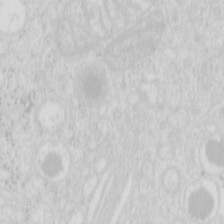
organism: Mouse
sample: Pancreas